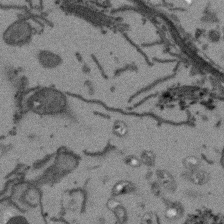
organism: Arabidopsis thaliana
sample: Root tip